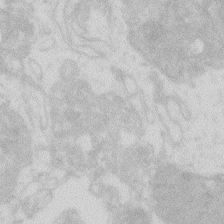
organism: Zebrafish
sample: Macrophage